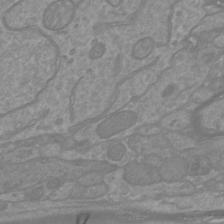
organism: Mouse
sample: Cortical neurons